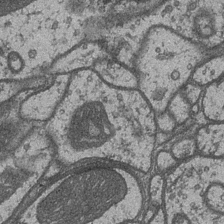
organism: Drosophila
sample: Optic medulla